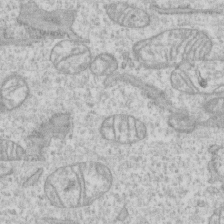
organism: Human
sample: CRL-1474